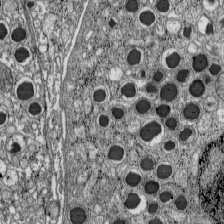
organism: C57BL Mouse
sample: Pancreatic islet